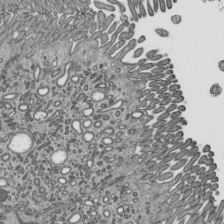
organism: Mouse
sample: Mouse epididymis efferent ductule cilia